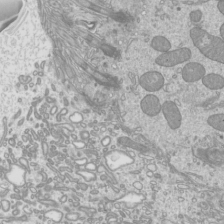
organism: Mouse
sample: Cilia; mouse epididymis